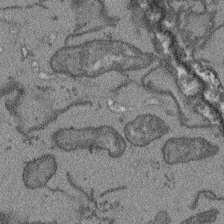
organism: Arabidopsis thaliana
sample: Root tip